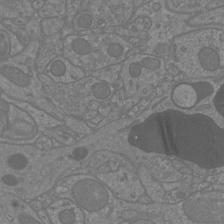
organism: Mouse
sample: Cortical neurons